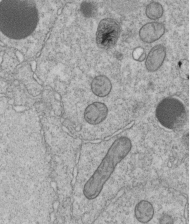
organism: C. elegans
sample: C. elegans embryo early stage